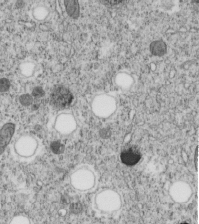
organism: C. elegans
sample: C. elegans embryo early stage